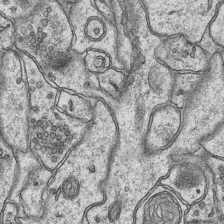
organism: Mouse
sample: CA1 Hippocampus